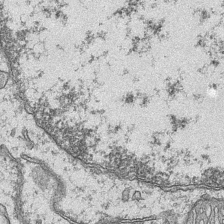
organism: Mouse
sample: CA1 Hippocampus